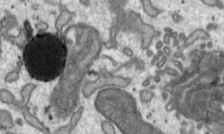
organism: Toxoplasma gondii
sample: Parasites in a vacuole inside a host cell